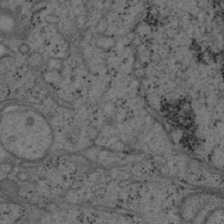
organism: Human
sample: HeLa cells